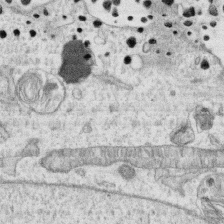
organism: Human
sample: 1205lu cells